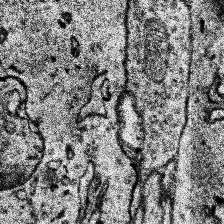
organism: Human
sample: Temporal Lobe